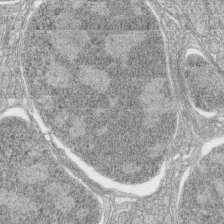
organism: Zebrafish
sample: synaptic ribbons in rod cells and cone cells